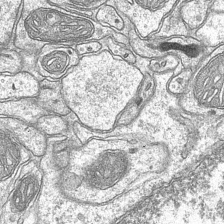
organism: Mouse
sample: CA1 Hippocampus